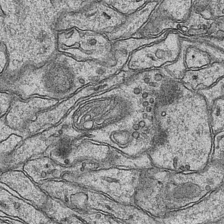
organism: Mouse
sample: CA1 Hippocampus